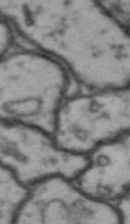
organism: Drosophila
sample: Brain